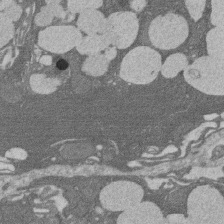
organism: Rat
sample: Salivary granule